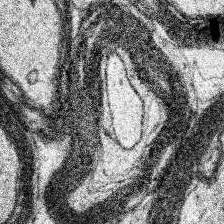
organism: Human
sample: Temporal Lobe